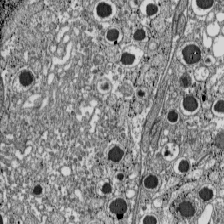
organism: C57BL Mouse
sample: Pancreatic islet